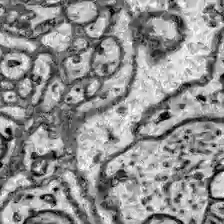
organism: Zebrafish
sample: Brain